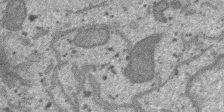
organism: Human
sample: Lung epithelial cells infected with SARS-CoV-2